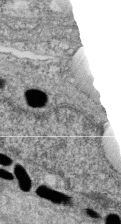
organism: Zebrafish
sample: Cilia; retinal pigment epithelium